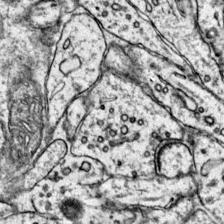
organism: Mouse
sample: Primary visual cortex